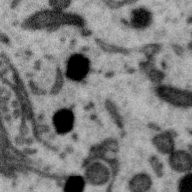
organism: Zebra finch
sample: Brain